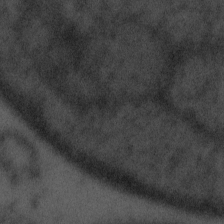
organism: Tuwongella immobilis